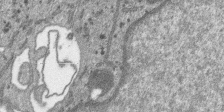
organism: Human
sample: Lung epithelial cells infected with SARS-CoV-2